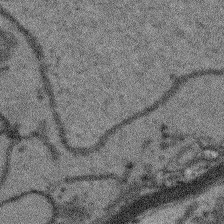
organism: Arabidopsis thaliana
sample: Root tip